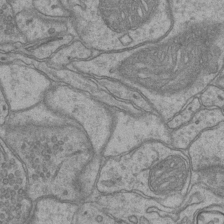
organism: Mouse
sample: CA1 Hippocampus